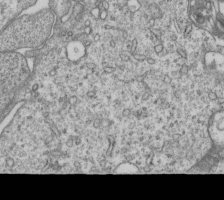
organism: Human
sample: MDA-MB-231 cells